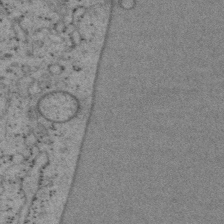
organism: Human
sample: HeLa cells